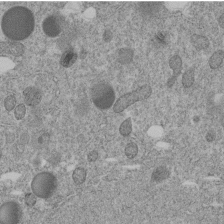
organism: C. elegans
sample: C. elegans embryo early stage